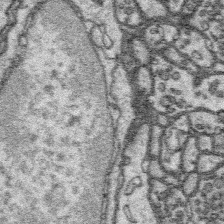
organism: Platynereis dumerilii